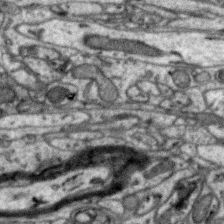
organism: Zebra finch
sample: Brain